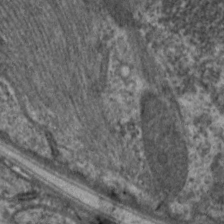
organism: C. elegans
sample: Pharynx